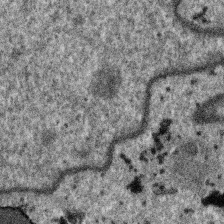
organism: Human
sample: Lung epithelial cells infected with SARS-CoV-2